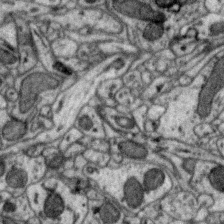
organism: Zebra finch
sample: Brain